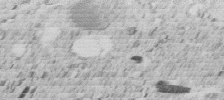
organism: C. elegans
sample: C. elegans embryo early stage